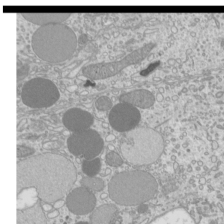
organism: Mouse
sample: Cilia; mouse epididymis